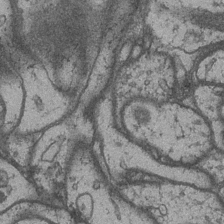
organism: Drosophila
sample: Optic medulla